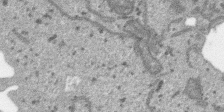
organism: Human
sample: Lung epithelial cells infected with SARS-CoV-2